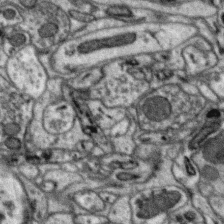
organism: Zebra finch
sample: Brain